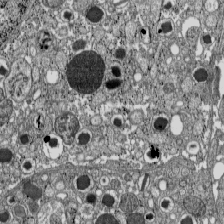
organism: C57BL Mouse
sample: Pancreatic islet